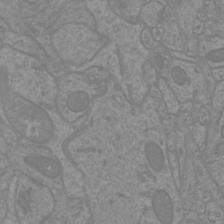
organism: Mouse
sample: Cortical neurons